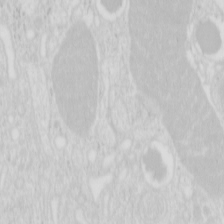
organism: Mouse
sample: Pancreas